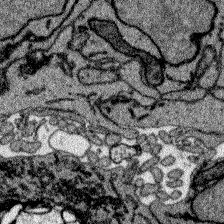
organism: Zebrafish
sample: Larval olfactory bulb